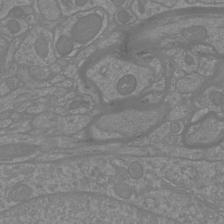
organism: Mouse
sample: Cortical neurons